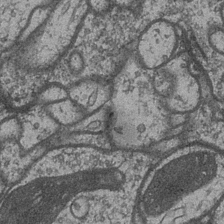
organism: Drosophila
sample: Optic medulla